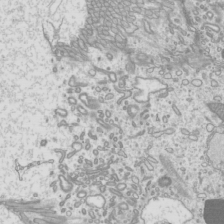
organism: Mouse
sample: Cilia; mouse epididymis